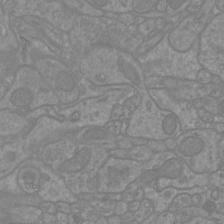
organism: Mouse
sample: Cortical neurons